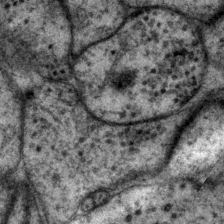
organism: P. pacificus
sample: Pharynx